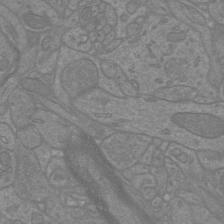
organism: Mouse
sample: Cortical neurons